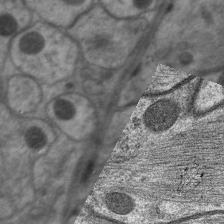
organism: C. elegans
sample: Pharynx